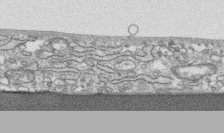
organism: Human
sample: CRL-1474